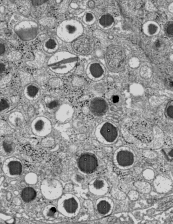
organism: C57BL Mouse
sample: Pancreatic islet